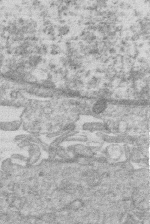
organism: Human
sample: Macrophage cells